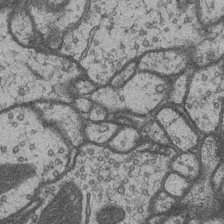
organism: Drosophila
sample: Optic medulla